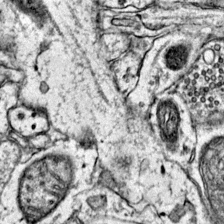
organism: Mouse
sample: Primary visual cortex